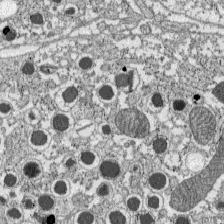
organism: C57BL Mouse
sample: Pancreatic islet